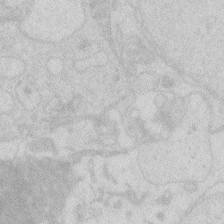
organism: Zebrafish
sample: Macrophage